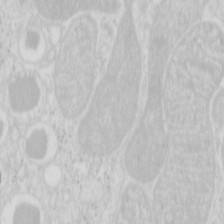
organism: Mouse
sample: Pancreas